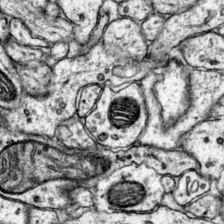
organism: Mouse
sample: Primary visual cortex